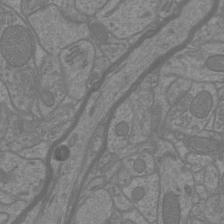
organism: Mouse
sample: Cortical neurons